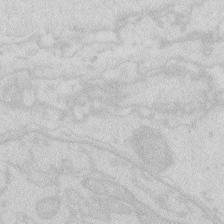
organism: Zebrafish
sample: Macrophage